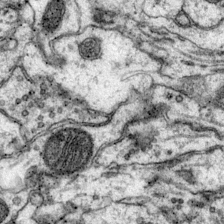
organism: Mouse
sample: Primary visual cortex